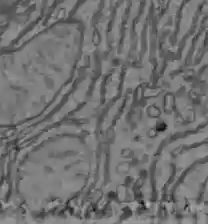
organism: C57BL Mouse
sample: Liver